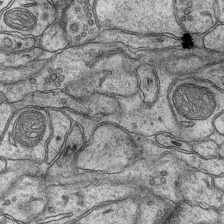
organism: Mouse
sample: CA1 Hippocampus